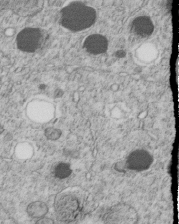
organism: C. elegans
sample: C. elegans embryo early stage